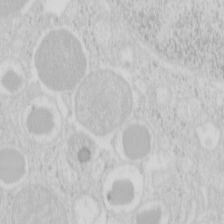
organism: Mouse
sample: Pancreas